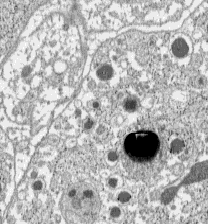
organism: C57BL Mouse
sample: Pancreatic islet